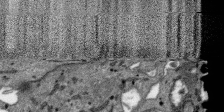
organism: Human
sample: Lung epithelial cells, uninfected (mock) control